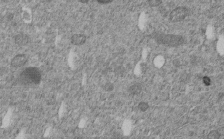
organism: C. elegans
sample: C. elegans embryo early stage